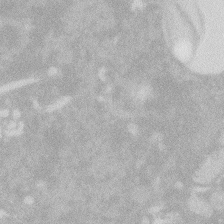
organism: Zebrafish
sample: Macrophage